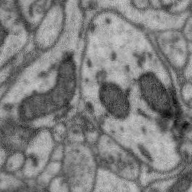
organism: Zebra finch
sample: Brain